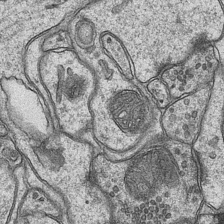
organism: Mouse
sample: CA1 Hippocampus